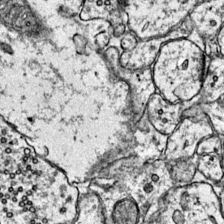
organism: Mouse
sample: Primary visual cortex